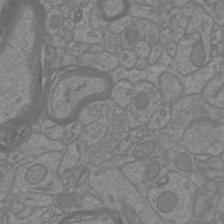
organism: Mouse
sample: Cortical neurons